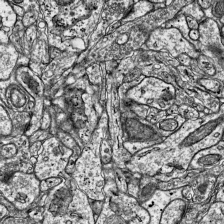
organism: Mouse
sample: Visual Cortex